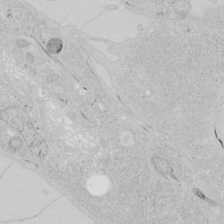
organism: Human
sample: Mitochondria in HCT116 cells